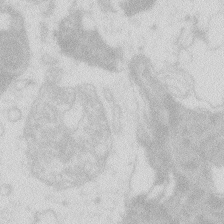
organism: Zebrafish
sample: Macrophage